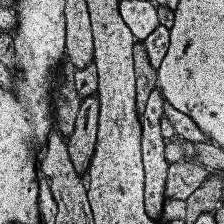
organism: Human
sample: Temporal Lobe